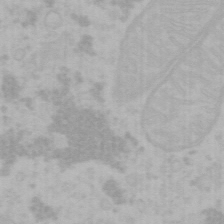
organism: Mouse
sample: Choroid plexus